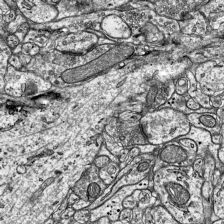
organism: Mouse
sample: Visual Cortex